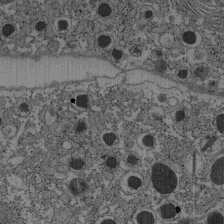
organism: C57BL Mouse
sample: Pancreatic islet